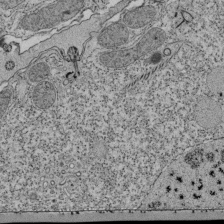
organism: Tetrahymena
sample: Cilia in tetrahymena